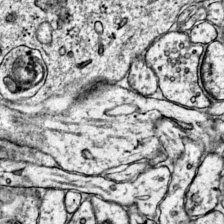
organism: Mouse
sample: Primary visual cortex